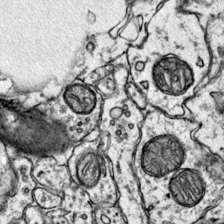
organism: Mouse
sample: Primary visual cortex